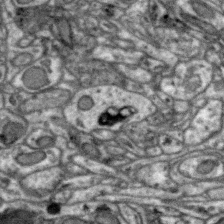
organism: Zebra finch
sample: Brain